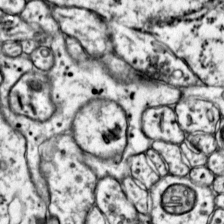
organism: Mouse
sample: Primary visual cortex